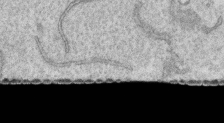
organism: Human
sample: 1205lu cells